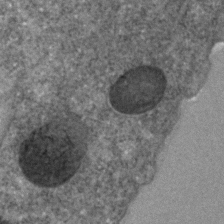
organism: C. elegans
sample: C. elegans embryo